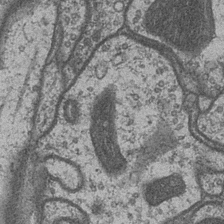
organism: Drosophila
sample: Optic medulla